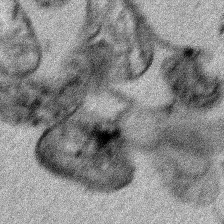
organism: Human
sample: Mitochondria in HCT116 cells